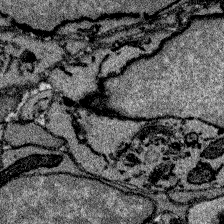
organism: Zebrafish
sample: Larval olfactory bulb